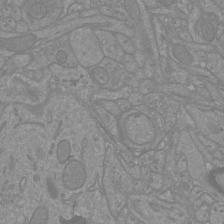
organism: Mouse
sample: Cortical neurons